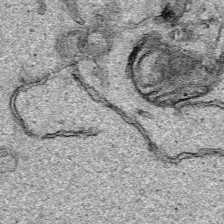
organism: Human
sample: Mitochondria in HCT116 cells